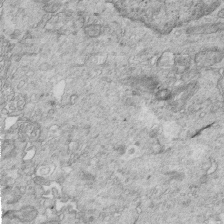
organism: Mouse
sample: Multiciliated cells